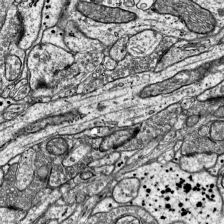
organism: Mouse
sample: Visual Cortex